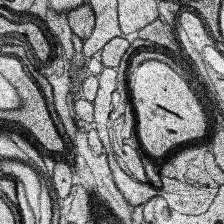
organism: Human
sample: Temporal Lobe